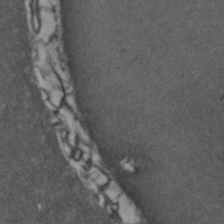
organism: Zebrafish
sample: Zebrafish embryo